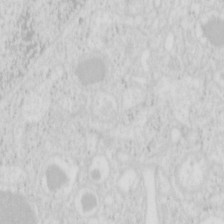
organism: Mouse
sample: Pancreas